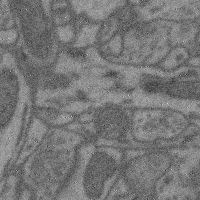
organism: Mouse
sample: Cerebral cortex